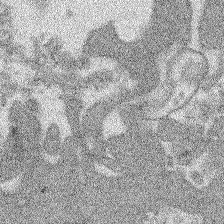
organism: Human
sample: HeLa cells